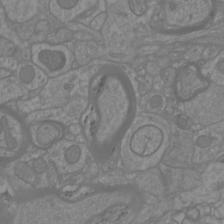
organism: Mouse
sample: Cortical neurons